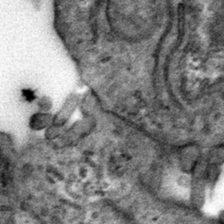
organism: Mouse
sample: Mouse hepatocytes